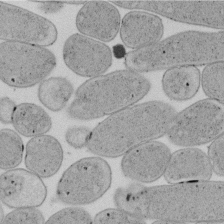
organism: E. coli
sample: Bacterial nucleoid